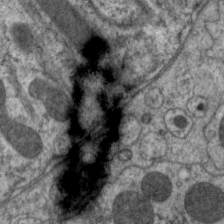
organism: C. elegans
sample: Pharynx